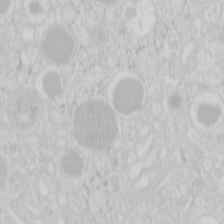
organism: Mouse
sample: Pancreas